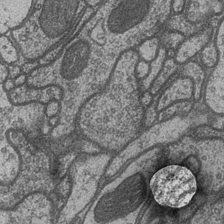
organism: Drosophila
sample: Optic medulla